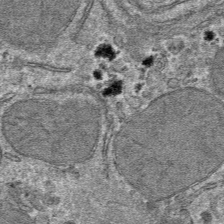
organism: Mouse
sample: Mouse hepatocytes